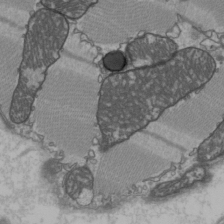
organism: C57BL Mouse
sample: Heart